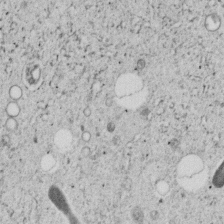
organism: C. elegans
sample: C. elegans embryo early stage